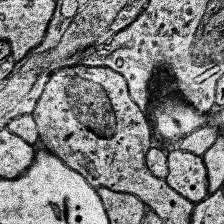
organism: Human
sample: Temporal Lobe